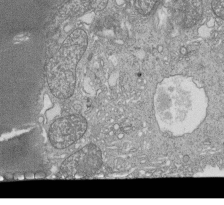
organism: Tetrahymena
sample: Cilia in tetrahymena